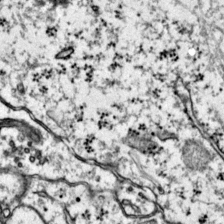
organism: Mouse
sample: Primary visual cortex